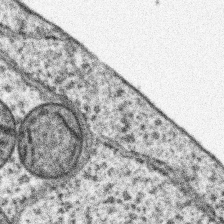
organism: Human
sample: HeLa cells